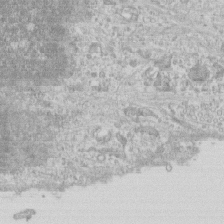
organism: Human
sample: CRL-1474